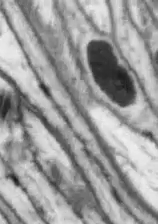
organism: Drosophila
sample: Optic lobe